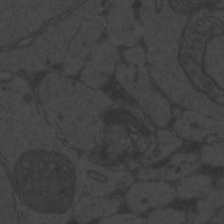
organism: Zebrafish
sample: Macrophage infected with Toxoplasma gondii